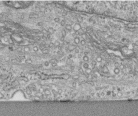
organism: Human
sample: Centriole in RPE cells